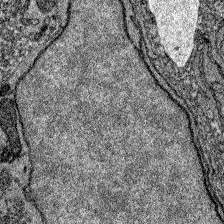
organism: Zebrafish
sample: Larval olfactory bulb